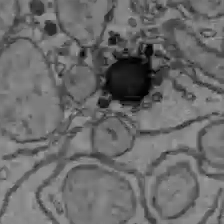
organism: C57BL Mouse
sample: Liver